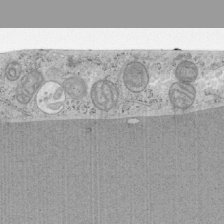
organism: Human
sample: HeLa cells